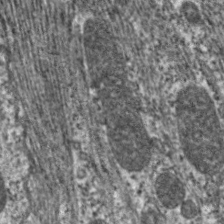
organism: C. elegans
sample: Pharynx